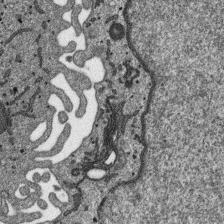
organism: Human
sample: Lung epithelial cells infected with SARS-CoV-2